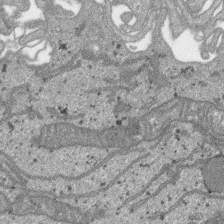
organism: Human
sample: Lung epithelial cells infected with SARS-CoV-2